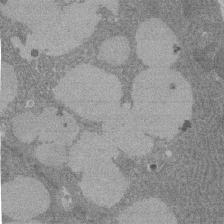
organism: Rat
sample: Salivary granule